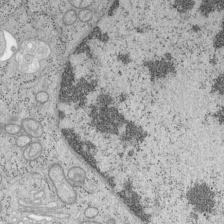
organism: Mouse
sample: OT-I killer T cells with ID8 ovarian cancer cells